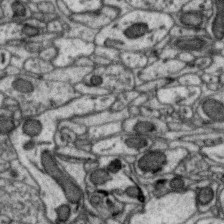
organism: Zebra finch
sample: Brain